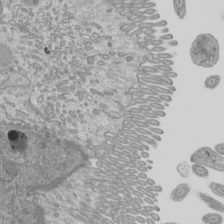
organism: Mouse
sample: Cilia; mouse epididymis